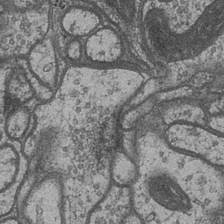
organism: Drosophila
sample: Optic medulla